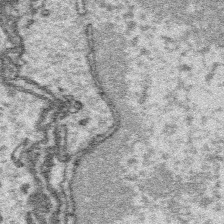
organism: Platynereis dumerilii